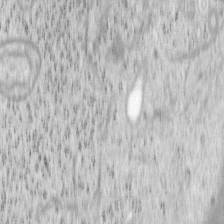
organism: Human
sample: HeLa cells